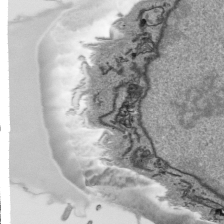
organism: Human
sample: Mitochondria in HCT116 cells